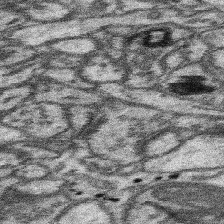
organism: Mouse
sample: Somatosensory cortex neuropil